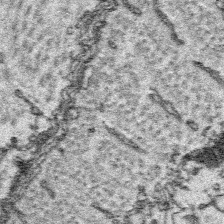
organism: Platynereis dumerilii